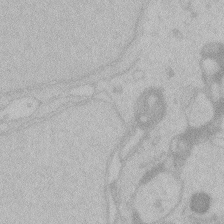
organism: Zebrafish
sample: Macrophage infected with Toxoplasma gondii